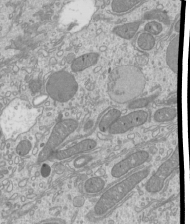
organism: Mouse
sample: Cilia; mouse epididymis